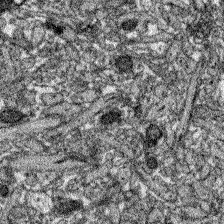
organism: Zebrafish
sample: Larval olfactory bulb